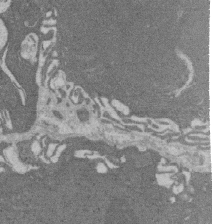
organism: Rat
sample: Salivary granule